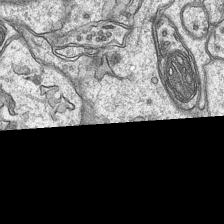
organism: Mouse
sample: CA1 Hippocampus